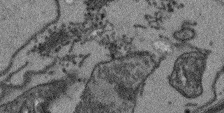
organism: Arabidopsis thaliana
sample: Root tip